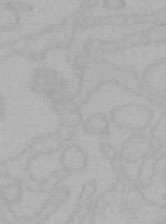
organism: Mouse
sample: Choroid plexus